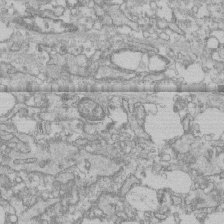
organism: Human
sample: CRL-1474